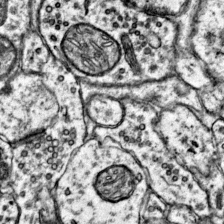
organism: Mouse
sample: Primary visual cortex